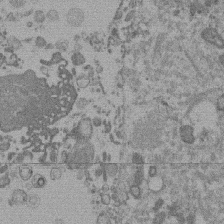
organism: Mouse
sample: Dividing mouse embryo 1 cell stage